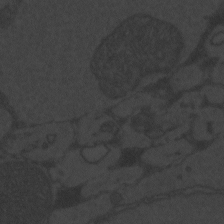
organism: Zebrafish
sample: Macrophage infected with Toxoplasma gondii